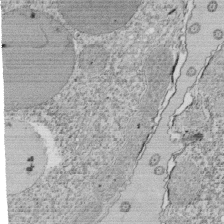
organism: Tetrahymena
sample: Cilia in tetrahymena